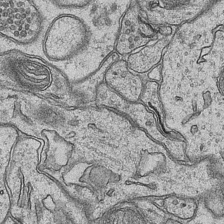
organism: Mouse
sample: CA1 Hippocampus